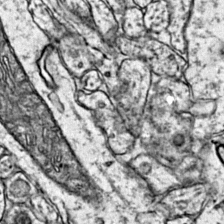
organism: Mouse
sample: Primary visual cortex